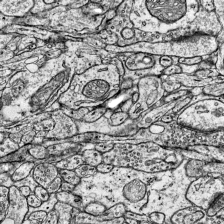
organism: Mouse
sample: Visual Cortex